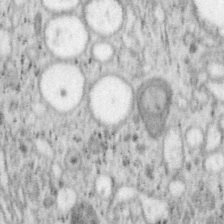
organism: Mouse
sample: OT-I killer T cells with ID8 ovarian cancer cells